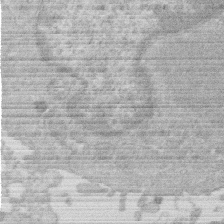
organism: Human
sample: Macrophage cells